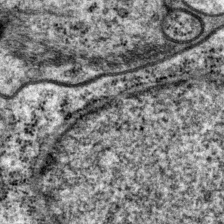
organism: P. pacificus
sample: Pharynx